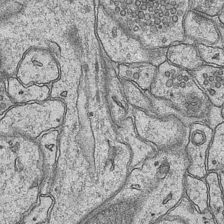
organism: Mouse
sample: CA1 Hippocampus